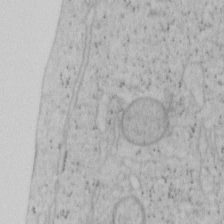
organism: Human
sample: HeLa cells